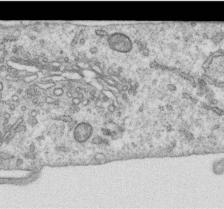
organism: Human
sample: Centriole in RPE cells